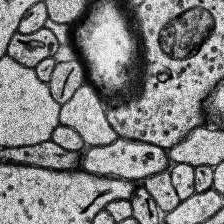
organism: Human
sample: Temporal Lobe